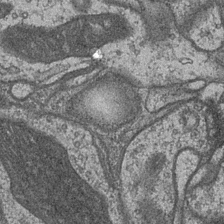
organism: Drosophila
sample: Optic medulla